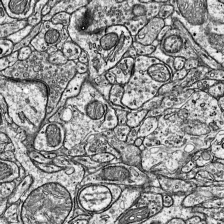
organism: Mouse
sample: Visual Cortex